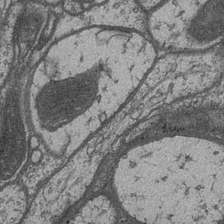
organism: Drosophila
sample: Optic medulla